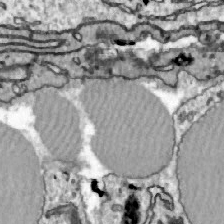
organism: Zebrafish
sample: Actinotrichia fibers